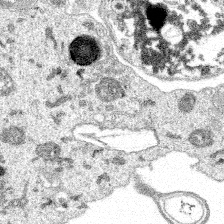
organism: Spongilla lacustris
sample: Multiple